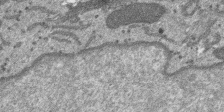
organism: Human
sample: Lung epithelial cells infected with SARS-CoV-2